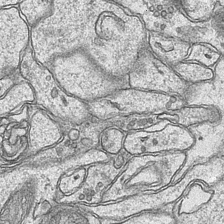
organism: Mouse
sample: CA1 Hippocampus